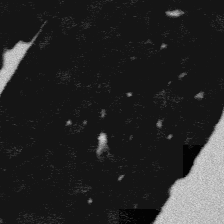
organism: Platynereis dumerilii